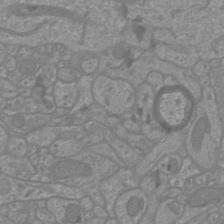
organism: Mouse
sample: Cortical neurons